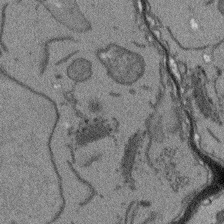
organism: Arabidopsis thaliana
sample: Root tip